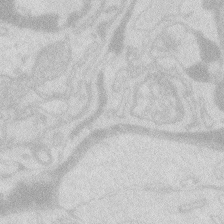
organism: Zebrafish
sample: Macrophage